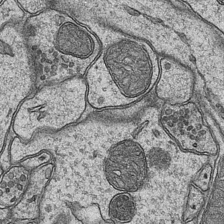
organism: Mouse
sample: CA1 Hippocampus